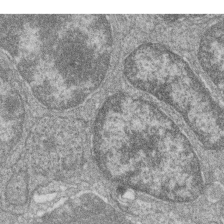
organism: Zebrafish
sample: Cilia; retinal pigment epithelium